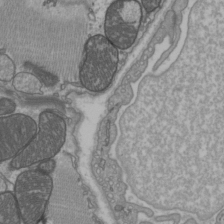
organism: C57BL Mouse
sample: Heart